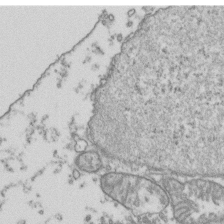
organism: Human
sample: Activated Jurkat CD4+ T cells